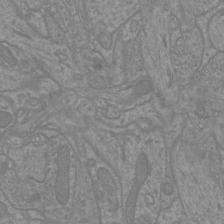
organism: Mouse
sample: Cortical neurons